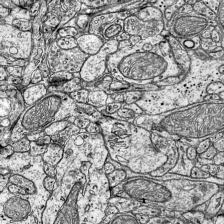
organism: Mouse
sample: Visual Cortex